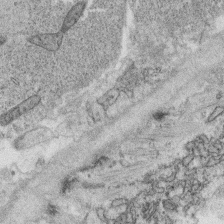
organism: C. elegans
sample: C. elegans oocyte; sperm cells